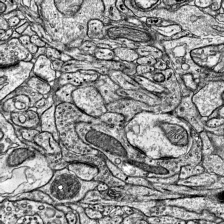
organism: Mouse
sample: Visual Cortex